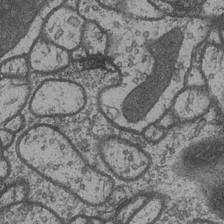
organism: Drosophila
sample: Optic medulla